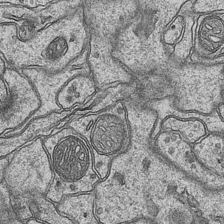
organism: Mouse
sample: CA1 Hippocampus